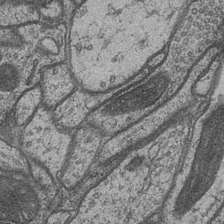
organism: Drosophila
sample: Optic medulla